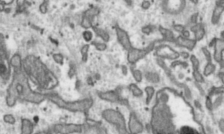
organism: Toxoplasma gondii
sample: Parasites in a vacuole inside a host cell